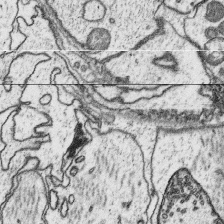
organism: Platynereis dumerilii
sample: Parapodia